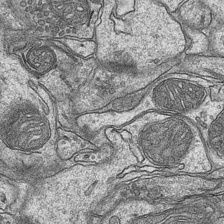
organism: Mouse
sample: CA1 Hippocampus